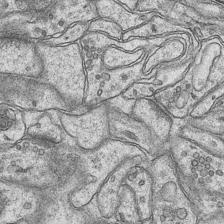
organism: Mouse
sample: CA1 Hippocampus